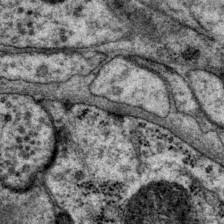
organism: P. pacificus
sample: Pharynx